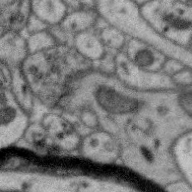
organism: Zebra finch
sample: Brain